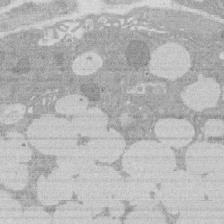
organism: Rat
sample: Salivary granule